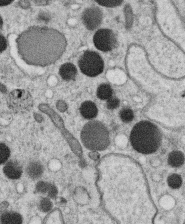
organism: C. elegans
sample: C. elegans oocyte; sperm cells